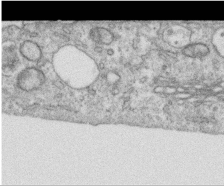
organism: Human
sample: Centriole in RPE cells